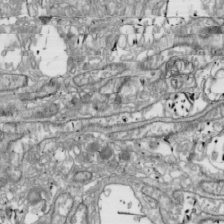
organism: Drosophila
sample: Cell division; meiosis; drosophila spermatocytes